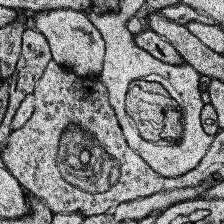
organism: Human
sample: Temporal Lobe